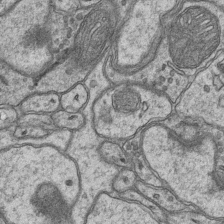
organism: Mouse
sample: CA1 Hippocampus